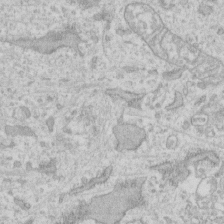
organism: Human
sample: Fibroblast cells